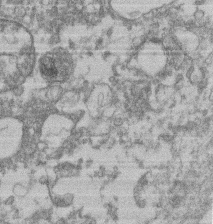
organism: Mouse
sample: T cell stromal cell synapse